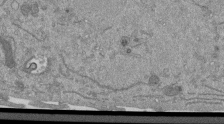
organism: Mouse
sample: ED-1 cell nuclei; centrioles